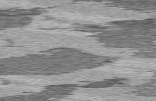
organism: C57BL Mouse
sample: Heart